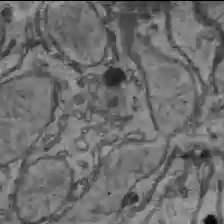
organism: C57BL Mouse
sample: Liver